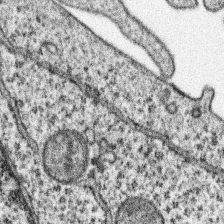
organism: Human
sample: HeLa cells